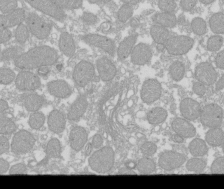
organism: Xenopus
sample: Cilia; centrioles in frog embryo cells